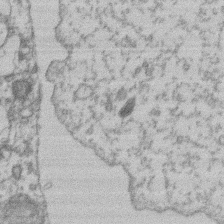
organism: Mouse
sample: T cell stromal cell synapse